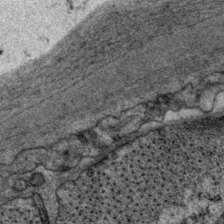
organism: P. pacificus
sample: Pharynx